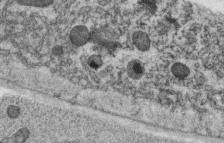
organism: C. elegans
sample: C. elegans oocyte; sperm cells